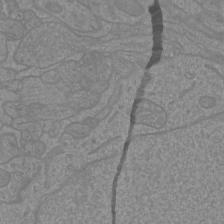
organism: Mouse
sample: Cortical neurons